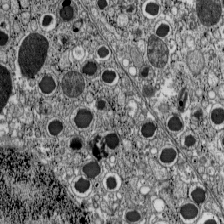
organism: C57BL Mouse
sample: Pancreatic islet